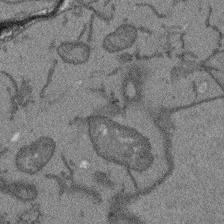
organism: Arabidopsis thaliana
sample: Root tip